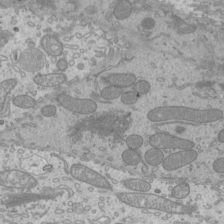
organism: Mouse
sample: Cilia; mouse epididymis